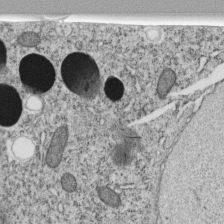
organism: C. elegans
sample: C. elegans embryo early stage